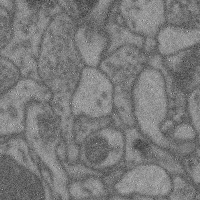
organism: Mouse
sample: Cerebral cortex